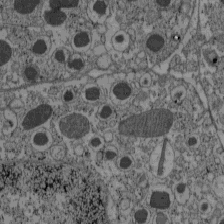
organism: C57BL Mouse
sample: Pancreatic islet